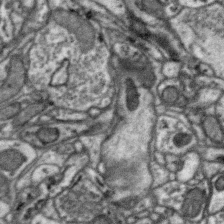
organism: Zebra finch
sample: Brain